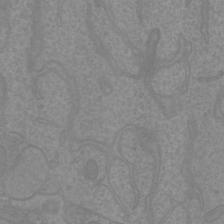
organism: Mouse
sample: Cortical neurons